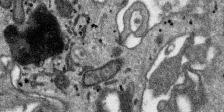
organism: Human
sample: Lung epithelial cells, uninfected (mock) control